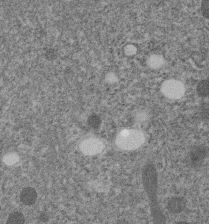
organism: C. elegans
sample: C. elegans embryo early stage